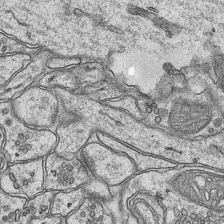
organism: Mouse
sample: CA1 Hippocampus